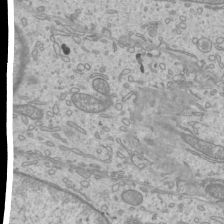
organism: Mouse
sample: Cilia; mouse epididymis